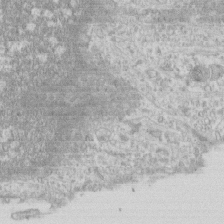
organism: Human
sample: CRL-1474